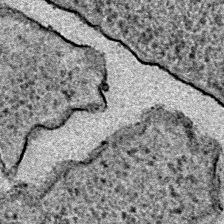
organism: E. coli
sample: E. Coli Bacteria